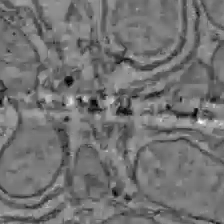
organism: C57BL Mouse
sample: Liver